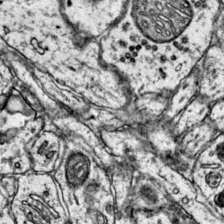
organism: Mouse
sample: Primary visual cortex